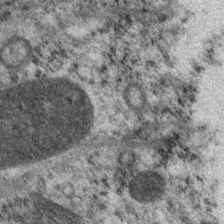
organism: P. pacificus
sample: Pharynx